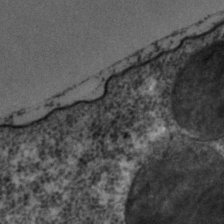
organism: C. elegans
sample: C. elegans embryo